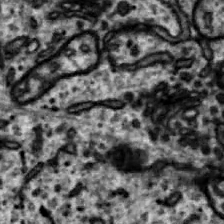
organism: Human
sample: HeLa cells